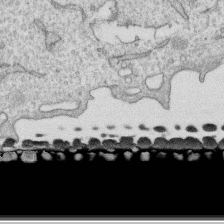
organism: Human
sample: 1205lu cells